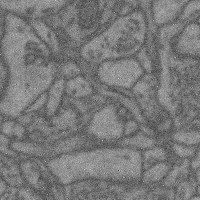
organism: Mouse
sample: Cerebral cortex